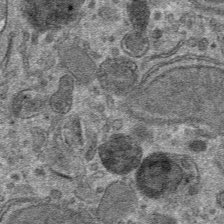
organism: Mouse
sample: Mouse hepatocytes